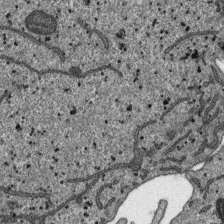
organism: Human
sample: Lung epithelial cells infected with SARS-CoV-2